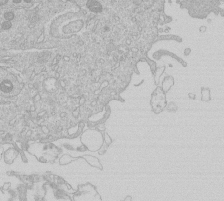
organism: Human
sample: Macrophage cells